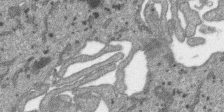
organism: Human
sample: Lung epithelial cells infected with SARS-CoV-2